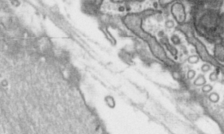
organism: Toxoplasma gondii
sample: Parasites in a vacuole inside a host cell